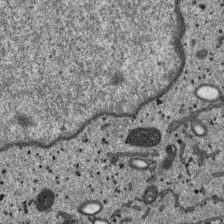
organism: Human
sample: Lung epithelial cells infected with SARS-CoV-2